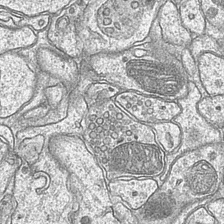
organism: Mouse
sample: CA1 Hippocampus